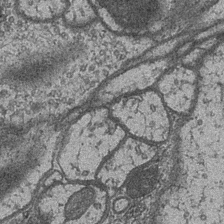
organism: Drosophila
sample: Optic medulla